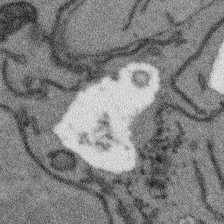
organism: Arabidopsis thaliana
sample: Root tip